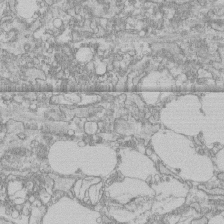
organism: Human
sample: CRL-1474